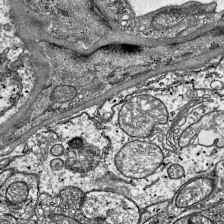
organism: Mouse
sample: Visual Cortex